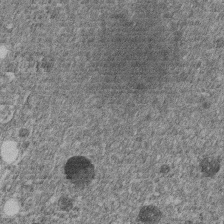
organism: C. elegans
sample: C. elegans embryo early stage